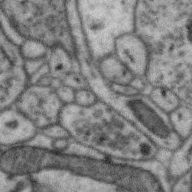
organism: Zebra finch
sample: Brain